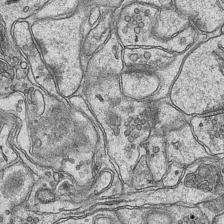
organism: Mouse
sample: CA1 Hippocampus